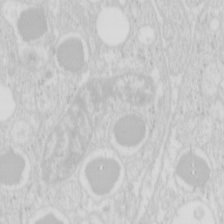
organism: Mouse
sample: Pancreas